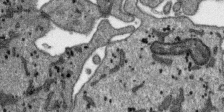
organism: Human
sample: Lung epithelial cells, uninfected (mock) control